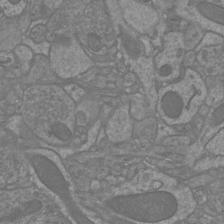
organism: Mouse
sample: Cortical neurons